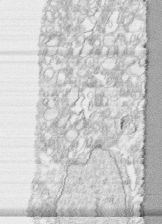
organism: Human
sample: CRL-1474